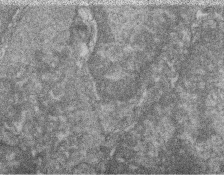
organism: Zebrafish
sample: Cilia; retinal pigment epithelium